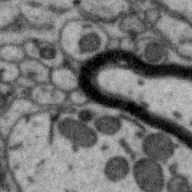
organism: Zebra finch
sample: Brain